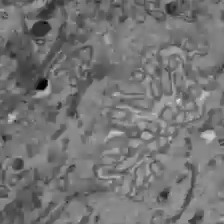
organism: C57BL Mouse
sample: Liver